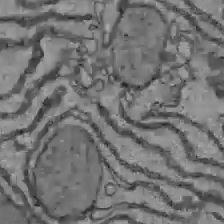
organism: C57BL Mouse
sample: Liver